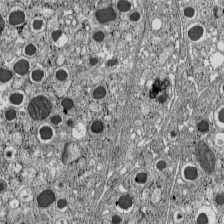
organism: C57BL Mouse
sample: Pancreatic islet